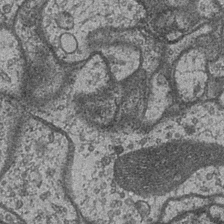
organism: Drosophila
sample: Optic medulla